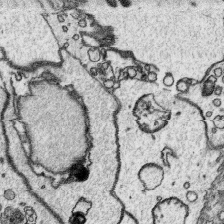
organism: Platynereis dumerilii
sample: Parapodia